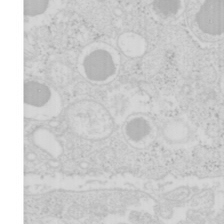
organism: Mouse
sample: Pancreas